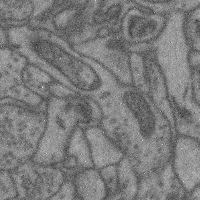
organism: Mouse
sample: Cerebral cortex